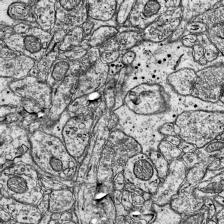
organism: Mouse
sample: Visual Cortex